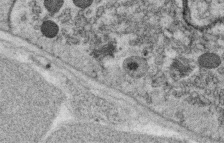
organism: C. elegans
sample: C. elegans oocyte; sperm cells